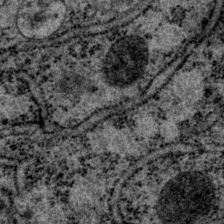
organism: P. pacificus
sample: Pharynx